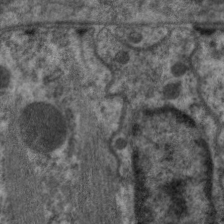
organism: C. elegans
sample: Pharynx